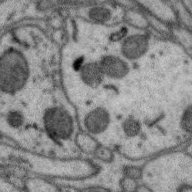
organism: Zebra finch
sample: Brain